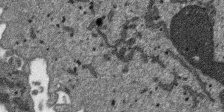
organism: Human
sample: Lung epithelial cells infected with SARS-CoV-2